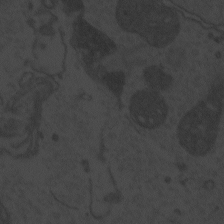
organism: Zebrafish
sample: Macrophage infected with Toxoplasma gondii